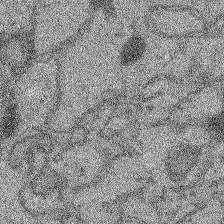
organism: Human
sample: HeLa cells